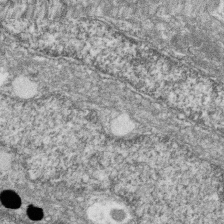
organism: Zebrafish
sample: Cilia; retinal pigment epithelium